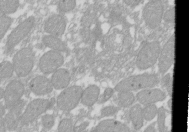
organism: Xenopus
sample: Cilia; centrioles in frog embryo cells